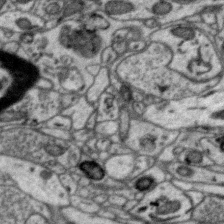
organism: Zebra finch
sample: Brain